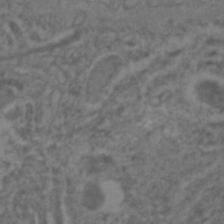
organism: C. elegans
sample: C. elegans embryo